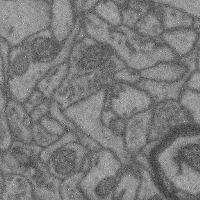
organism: Mouse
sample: Cerebral cortex